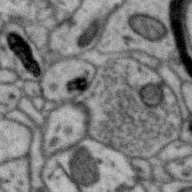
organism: Zebra finch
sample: Brain